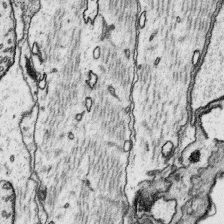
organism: Platynereis dumerilii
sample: Parapodia